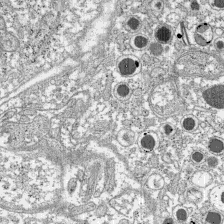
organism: C57BL Mouse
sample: Pancreatic islet